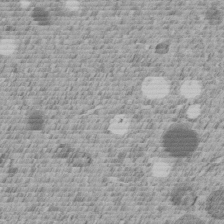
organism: C. elegans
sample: C. elegans embryo early stage